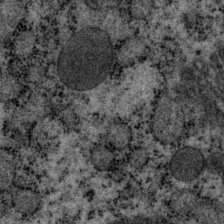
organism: P. pacificus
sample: Pharynx